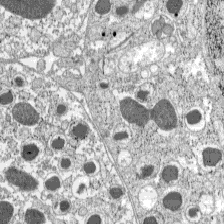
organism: C57BL Mouse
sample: Pancreatic islet